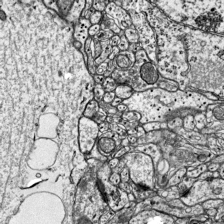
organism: Mouse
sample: Visual Cortex